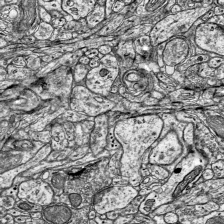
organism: Mouse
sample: Visual Cortex